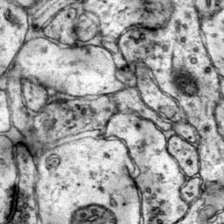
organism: Mouse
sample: Primary visual cortex